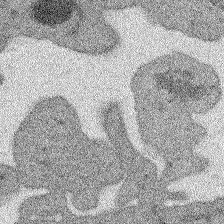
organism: Human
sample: HeLa cells